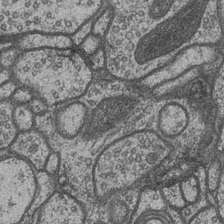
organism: Drosophila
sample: Optic medulla